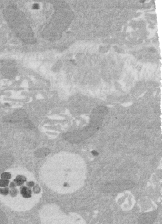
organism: Rat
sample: Salivary granule